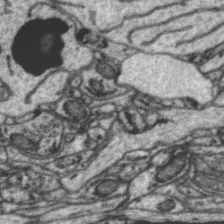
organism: Zebra finch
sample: Brain